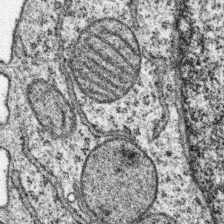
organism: Human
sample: HeLa cells